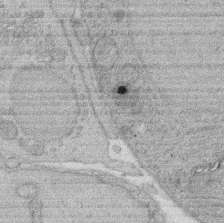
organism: Rat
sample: Salivary granule